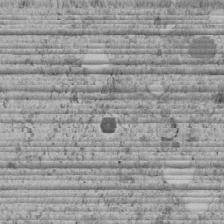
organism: C. elegans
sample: C. elegans embryo early stage